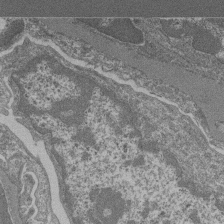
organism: Mouse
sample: Glomerulus